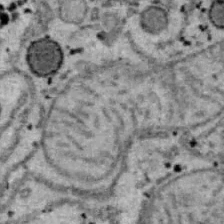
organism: Mouse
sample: Liver from an obese (ob/ob) mouse